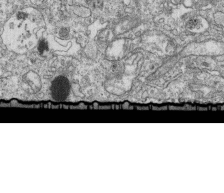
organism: Human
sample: HeLa cell HIV synapse